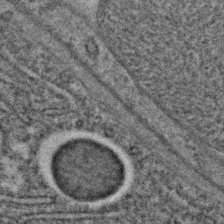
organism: C. elegans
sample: C. elegans embryo